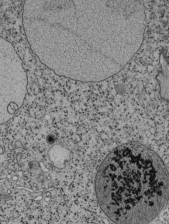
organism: Tetrahymena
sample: Cilia in tetrahymena